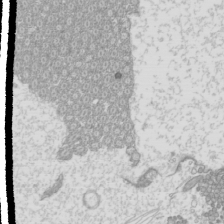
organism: Mouse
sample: Cilia; mouse epididymis